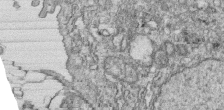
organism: Human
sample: HeLa cell HIV synapse